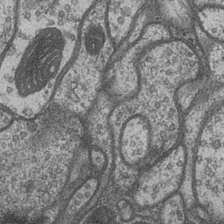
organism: Drosophila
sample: Optic medulla